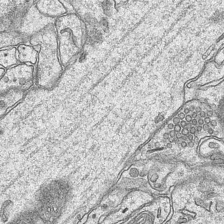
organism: Mouse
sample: CA1 Hippocampus